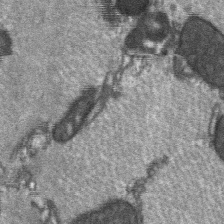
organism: C57BL Mouse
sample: Soleus